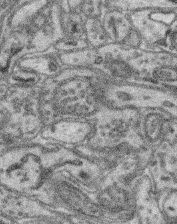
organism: Mouse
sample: Retina